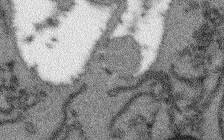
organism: Arabidopsis thaliana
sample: Root tip